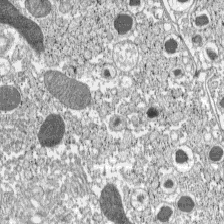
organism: C57BL Mouse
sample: Pancreatic islet